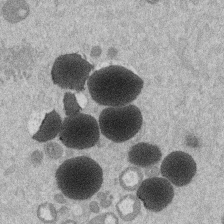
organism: Mouse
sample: Dividing mouse embryo 1 cell stage